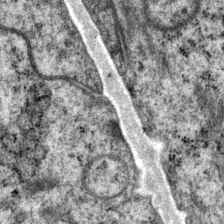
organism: P. pacificus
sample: Pharynx